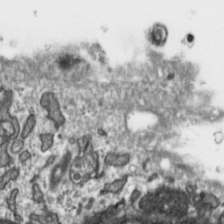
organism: Toxoplasma gondii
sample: Parasites in a vacuole inside a host cell